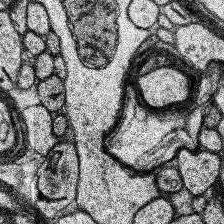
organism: Human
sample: Temporal Lobe